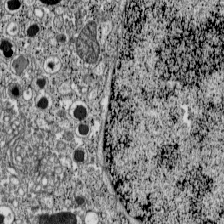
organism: C57BL Mouse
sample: Pancreatic islet